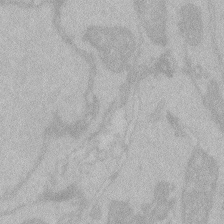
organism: Zebrafish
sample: Macrophage infected with Toxoplasma gondii